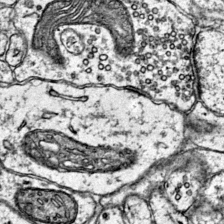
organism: Mouse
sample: Primary visual cortex